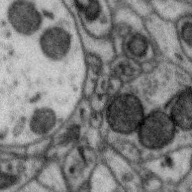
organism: Zebra finch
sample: Brain